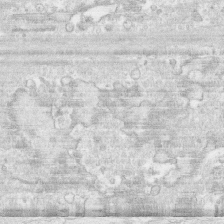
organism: Human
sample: CRL-1474